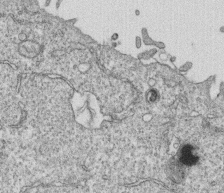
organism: Human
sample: HeLa cell HIV synapse